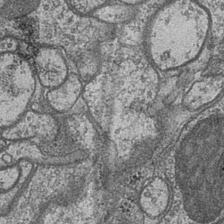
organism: Drosophila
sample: Optic medulla